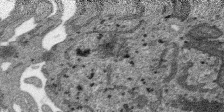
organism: Human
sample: Lung epithelial cells infected with SARS-CoV-2